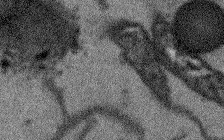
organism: Arabidopsis thaliana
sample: Root tip